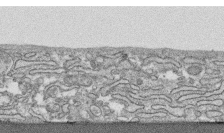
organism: Human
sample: CRL-1474